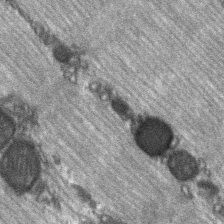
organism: C57BL Mouse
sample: Soleus